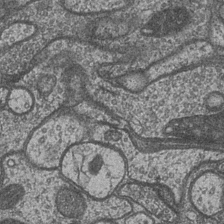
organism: Drosophila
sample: Optic medulla